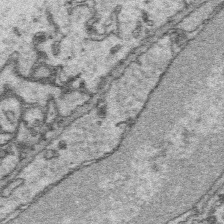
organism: Platynereis dumerilii